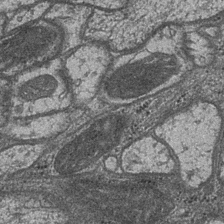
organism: Drosophila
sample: Optic medulla